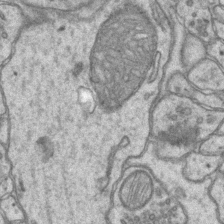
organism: Mouse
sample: CA1 Hippocampus